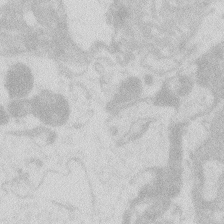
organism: Zebrafish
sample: Macrophage